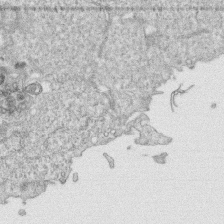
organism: Human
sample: HeLa cell HIV synapse